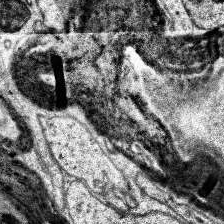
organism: Human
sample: Temporal Lobe